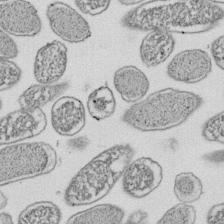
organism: E. coli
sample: Bacterial nucleoid